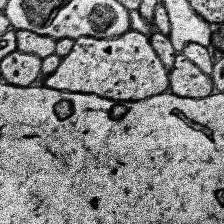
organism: Human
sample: Temporal Lobe